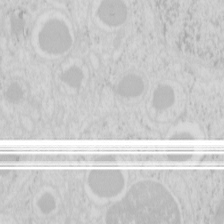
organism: Mouse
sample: Pancreas